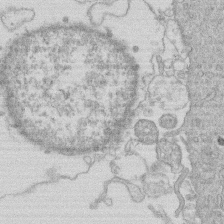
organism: Human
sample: Macrophage cells